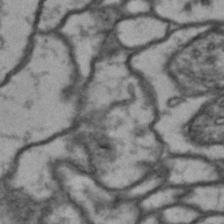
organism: Drosophila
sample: Brain